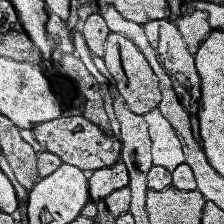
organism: Human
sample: Temporal Lobe